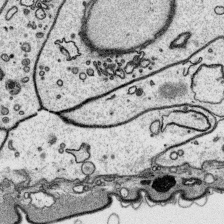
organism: Platynereis dumerilii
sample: Parapodia